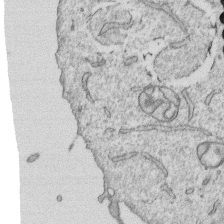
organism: Human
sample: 1205lu cells